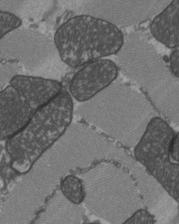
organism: C57BL Mouse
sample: Heart